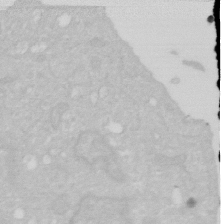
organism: Human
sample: HIV infected U937 cells